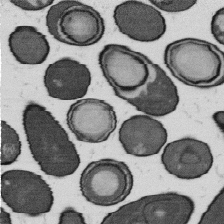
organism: B. subtilis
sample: Bacterial spore